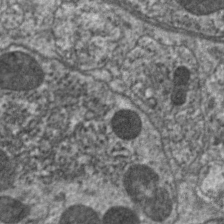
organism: C. elegans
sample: Pharynx